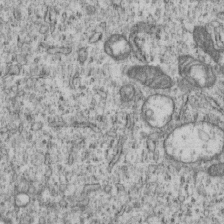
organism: Human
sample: MDA-MB-231 cells